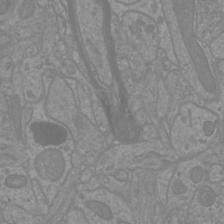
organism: Mouse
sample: Cortical neurons